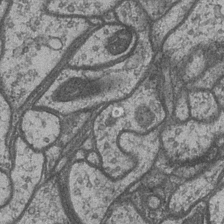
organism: Drosophila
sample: Optic medulla